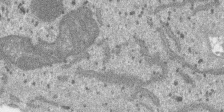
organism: Human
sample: Lung epithelial cells infected with SARS-CoV-2